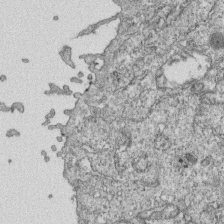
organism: Human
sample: HeLa cell HIV synapse